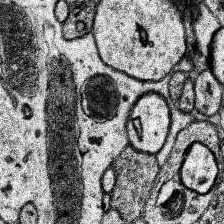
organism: Human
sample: Temporal Lobe